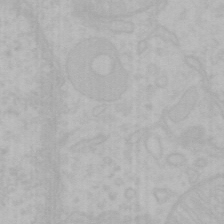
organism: Mouse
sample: Choroid plexus